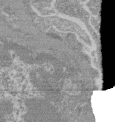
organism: Mouse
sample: Glomerulus